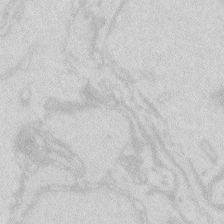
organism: Zebrafish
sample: Macrophage